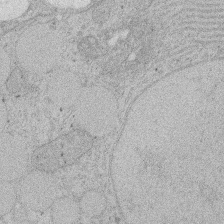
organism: Rat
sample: Salivary granule